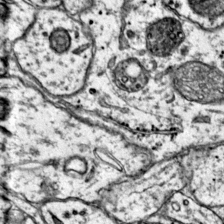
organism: Mouse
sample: Primary visual cortex